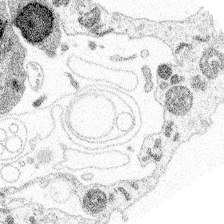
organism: Spongilla lacustris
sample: Multiple